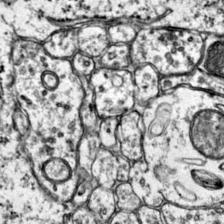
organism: Mouse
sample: Primary visual cortex